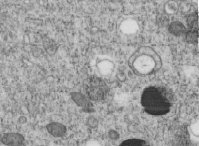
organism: C. elegans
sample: C. elegans embryo early stage